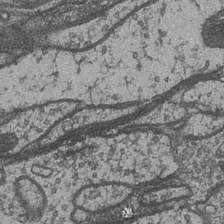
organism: Drosophila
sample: Optic medulla